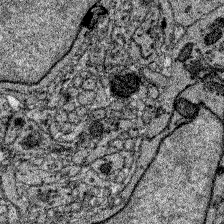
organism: Zebrafish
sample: Larval olfactory bulb